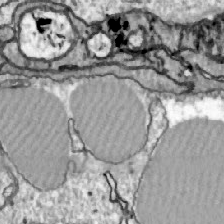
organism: Zebrafish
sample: Actinotrichia fibers